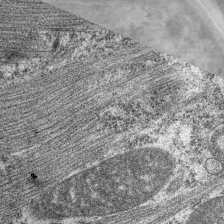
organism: C. elegans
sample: Pharynx